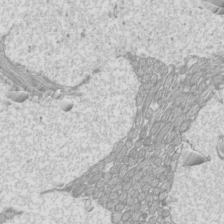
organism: Mouse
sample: Cilia; mouse epididymis